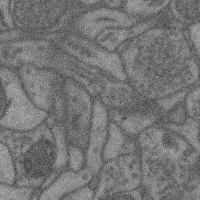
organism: Mouse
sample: Cerebral cortex